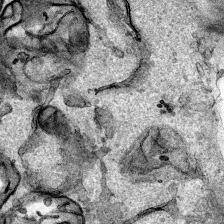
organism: Human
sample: Mitochondria in HCT116 cells